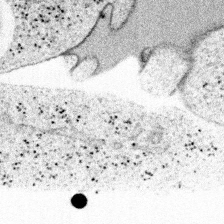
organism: Human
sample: HeLa cells